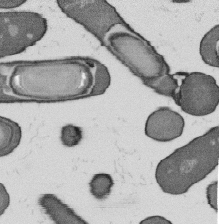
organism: B. subtilis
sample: Bacterial spore